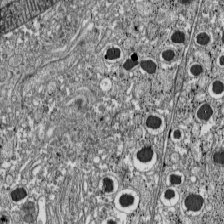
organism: C57BL Mouse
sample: Pancreatic islet